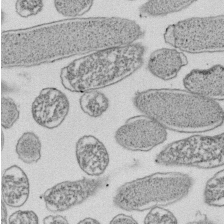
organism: E. coli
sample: Bacterial nucleoid